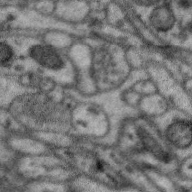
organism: Zebra finch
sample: Brain